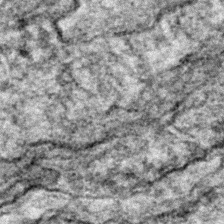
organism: Zebrafish